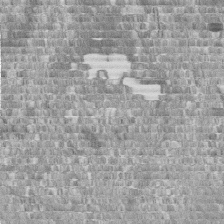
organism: Human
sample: Centriole in fibroblast cells